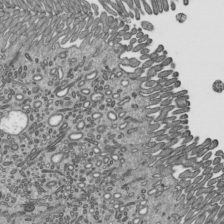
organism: Mouse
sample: Mouse epididymis efferent ductule cilia